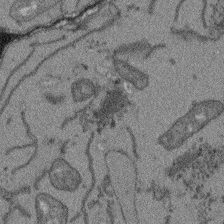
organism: Arabidopsis thaliana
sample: Root tip